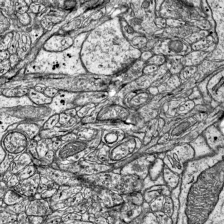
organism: Mouse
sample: Visual Cortex